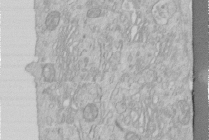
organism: Human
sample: Centriole in RPE cells